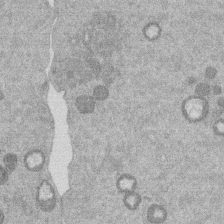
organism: Mouse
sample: Dividing mouse embryo 1 cell stage